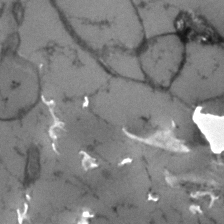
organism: Human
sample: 1205lu cells